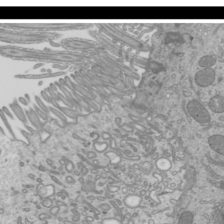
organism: Mouse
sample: Cilia; mouse epididymis